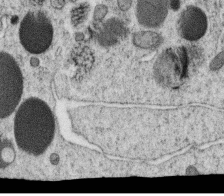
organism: C. elegans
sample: C. elegans oocyte; sperm cells